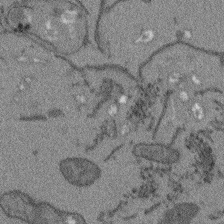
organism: Arabidopsis thaliana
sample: Root tip